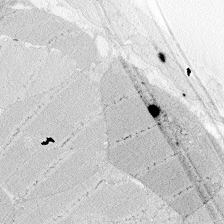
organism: Zebrafish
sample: Whole-Brain